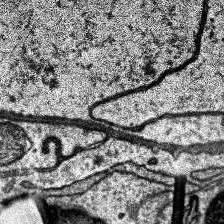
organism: Human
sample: Temporal Lobe